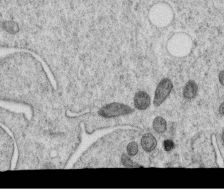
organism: C. elegans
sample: C. elegans oocyte; sperm cells